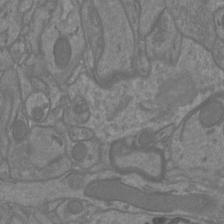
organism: Mouse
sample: Cortical neurons